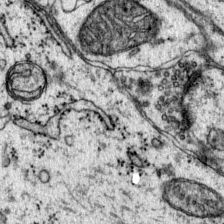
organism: Mouse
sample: Primary visual cortex